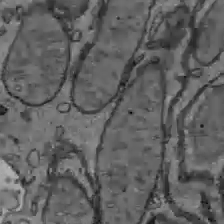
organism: C57BL Mouse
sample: Liver